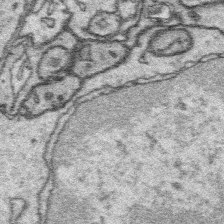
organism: Platynereis dumerilii